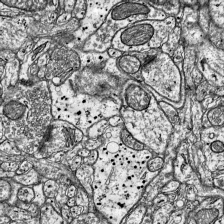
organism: Mouse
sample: Visual Cortex